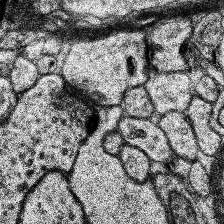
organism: Human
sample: Temporal Lobe